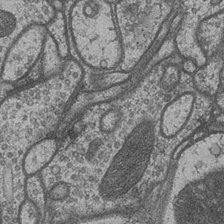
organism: Drosophila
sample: Optic medulla